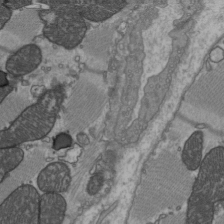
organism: C57BL Mouse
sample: Heart